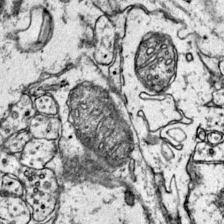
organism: Mouse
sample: Primary visual cortex